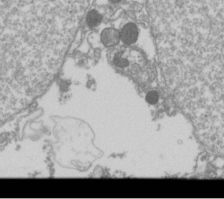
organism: Drosophila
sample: Cell division; meiosis; drosophila spermatocytes